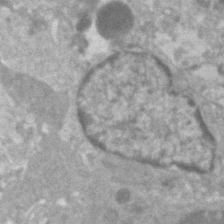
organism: Human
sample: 1205lu cells